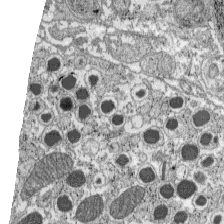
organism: C57BL Mouse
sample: Pancreatic islet